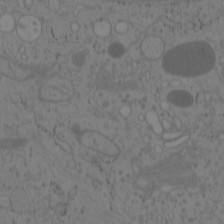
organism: Human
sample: HeLa cells